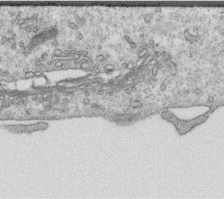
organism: Human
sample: Centriole in RPE cells